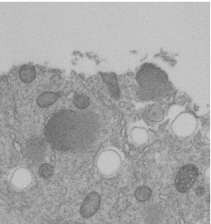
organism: C. elegans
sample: C. elegans embryo early stage